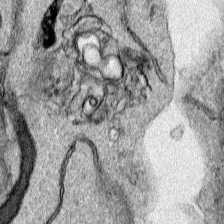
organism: Human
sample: Mitochondria in HCT116 cells